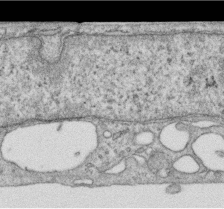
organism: Human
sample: Centriole in RPE cells